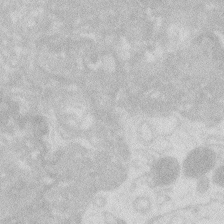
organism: Zebrafish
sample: Macrophage